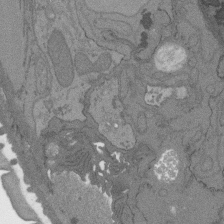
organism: C. elegans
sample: AFD neurons C. elegans